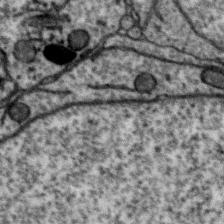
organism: Zebra finch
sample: Brain